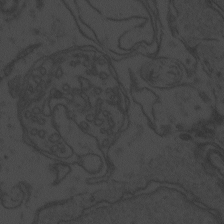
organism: Zebrafish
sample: Macrophage infected with Toxoplasma gondii